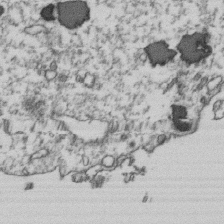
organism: Human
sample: Activated Jurkat CD4+ T cells